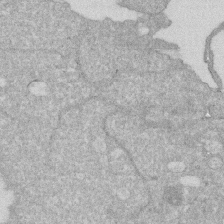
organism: Human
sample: HIV infected U937 cells